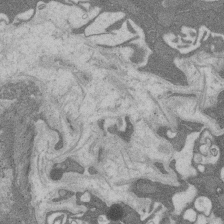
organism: Rat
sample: Salivary granule